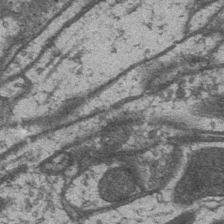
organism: Drosophila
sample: Optic medulla